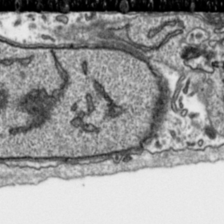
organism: Toxoplasma gondii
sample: Parasites in a vacuole inside a host cell